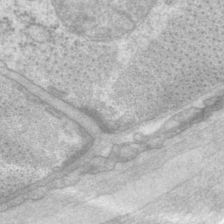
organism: P. pacificus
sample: Pharynx